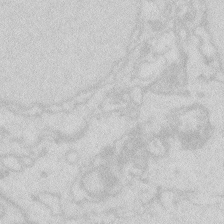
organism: Zebrafish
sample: Macrophage